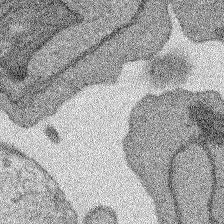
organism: Human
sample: HeLa cells